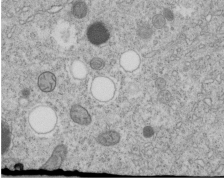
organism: C. elegans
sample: C. elegans embryo early stage